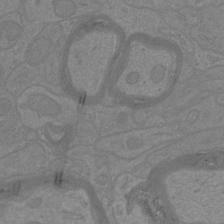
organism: Mouse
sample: Cortical neurons